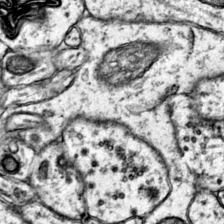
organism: Mouse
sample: Primary visual cortex